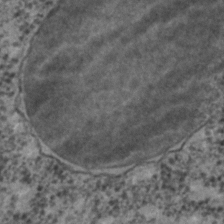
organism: C. elegans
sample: C. elegans embryo